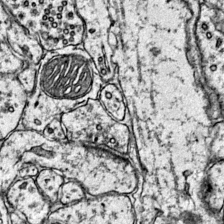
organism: Mouse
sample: Primary visual cortex